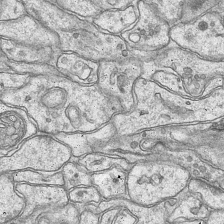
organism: Mouse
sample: CA1 Hippocampus